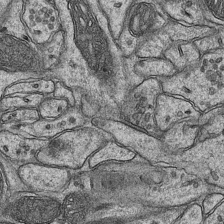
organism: Mouse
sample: CA1 Hippocampus